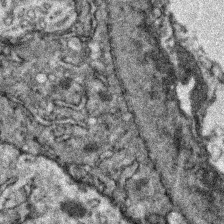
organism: Zebrafish